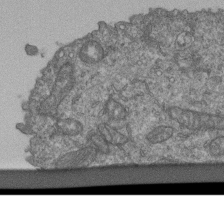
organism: Human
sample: Retinal organoid Rod and Cone cells